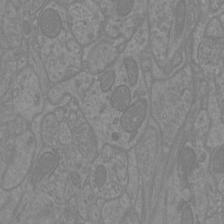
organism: Mouse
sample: Cortical neurons